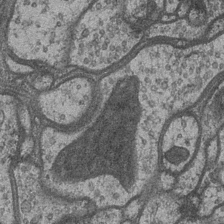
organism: Drosophila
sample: Optic medulla